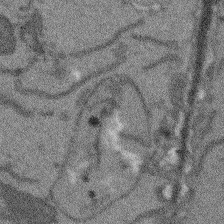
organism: Arabidopsis thaliana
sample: Root tip